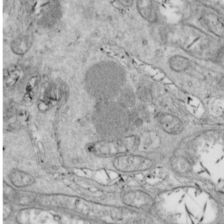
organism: Drosophila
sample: Cell division; meiosis; drosophila spermatocytes